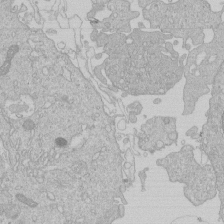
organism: Human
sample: Macrophage cells